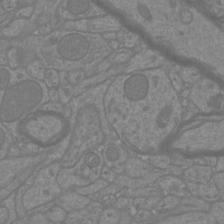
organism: Mouse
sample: Cortical neurons